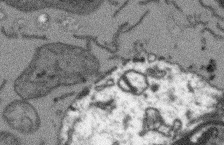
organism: Arabidopsis thaliana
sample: Root tip